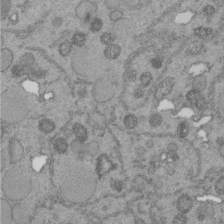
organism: C. elegans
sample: C. elegans embryo early stage